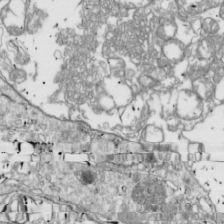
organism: Drosophila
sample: Cell division; meiosis; drosophila spermatocytes